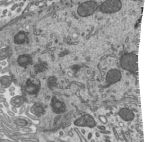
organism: Mouse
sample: Mouse epididymis efferent ductule cilia